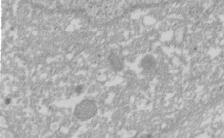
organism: Xenopus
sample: Cilia; centrioles in frog embryo cells